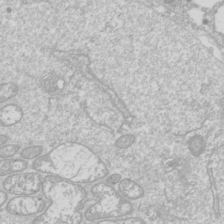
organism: Drosophila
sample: Cell division; meiosis; drosophila spermatocytes